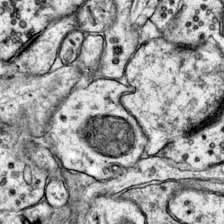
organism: Mouse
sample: Primary visual cortex